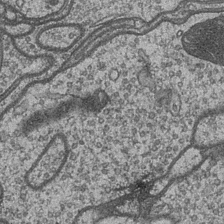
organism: Drosophila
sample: Optic medulla